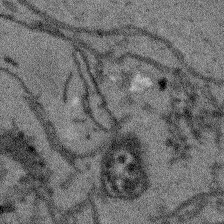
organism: Arabidopsis thaliana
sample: Root tip